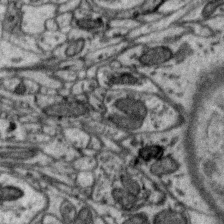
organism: Zebra finch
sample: Brain